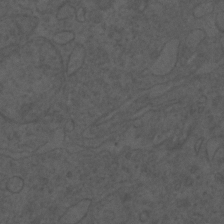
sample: Trachea